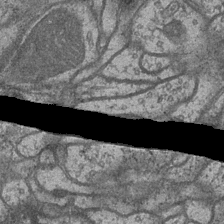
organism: Drosophila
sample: Optic medulla